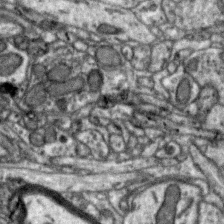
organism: Zebra finch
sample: Brain